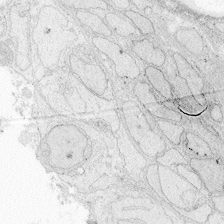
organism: Zebrafish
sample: Whole-Brain